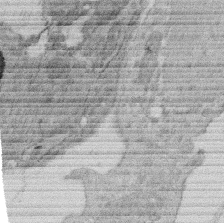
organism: Rat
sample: Salivary granule